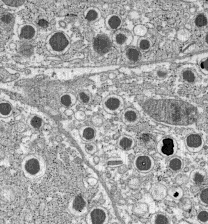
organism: C57BL Mouse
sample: Pancreatic islet